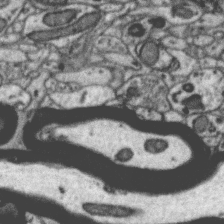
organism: Zebra finch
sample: Brain